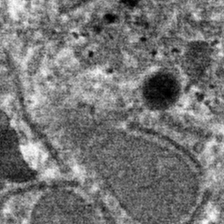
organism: Mouse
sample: Mouse hepatocytes